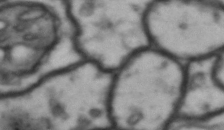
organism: Drosophila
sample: Brain